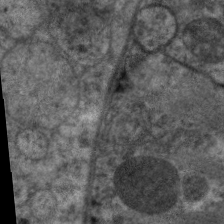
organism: C. elegans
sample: Pharynx